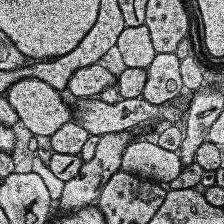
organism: Human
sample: Temporal Lobe